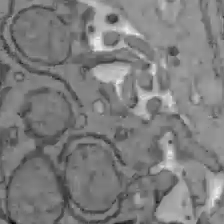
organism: C57BL Mouse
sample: Liver